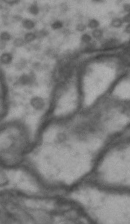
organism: Drosophila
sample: Brain